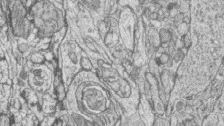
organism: Zebrafish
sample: synaptic ribbons in rod cells and cone cells